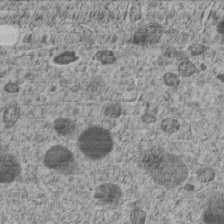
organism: C. elegans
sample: C. elegans embryo early stage